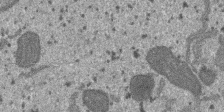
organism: Human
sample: Lung epithelial cells infected with SARS-CoV-2